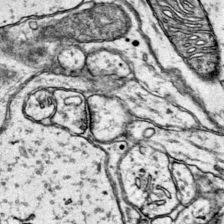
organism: Mouse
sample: Primary visual cortex